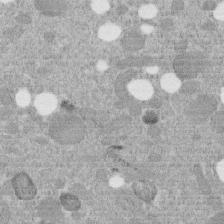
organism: C. elegans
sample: C. elegans embryo early stage